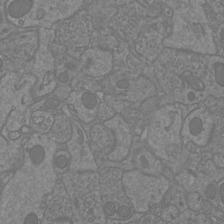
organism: Mouse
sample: Cortical neurons